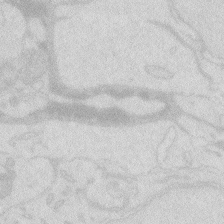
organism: Zebrafish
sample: Macrophage